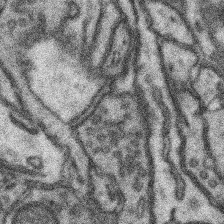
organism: Mouse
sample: Somatosensory cortex neuropil